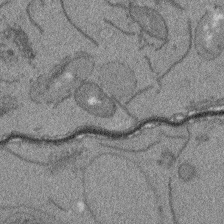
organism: Arabidopsis thaliana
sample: Root tip